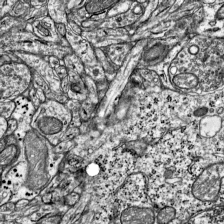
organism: Mouse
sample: Visual Cortex